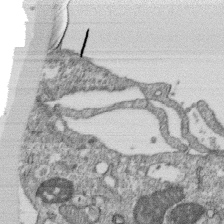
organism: African green monkey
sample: Vero E6 cells infected with SARS-CoV-2